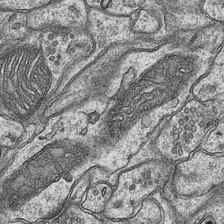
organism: Mouse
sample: CA1 Hippocampus